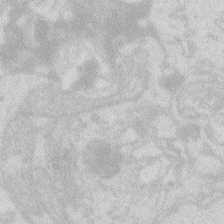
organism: Zebrafish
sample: Macrophage